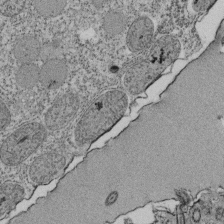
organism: Tetrahymena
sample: Cilia in tetrahymena